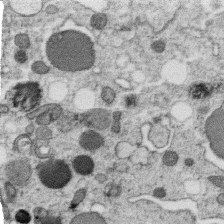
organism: C. elegans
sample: C. elegans oocyte; sperm cells